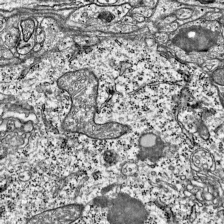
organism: Mouse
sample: Visual Cortex